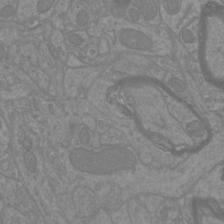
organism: Mouse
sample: Cortical neurons